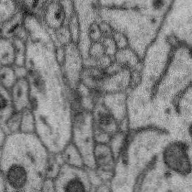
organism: Zebra finch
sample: Brain